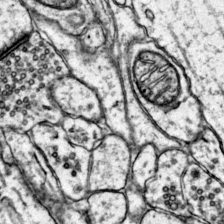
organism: Mouse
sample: Primary visual cortex